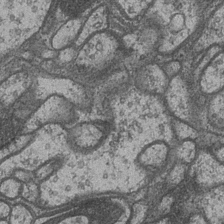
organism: Drosophila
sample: Optic medulla